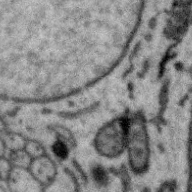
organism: Zebra finch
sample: Brain